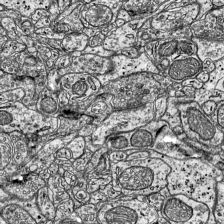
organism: Mouse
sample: Visual Cortex